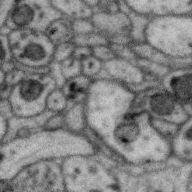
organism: Zebra finch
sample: Brain